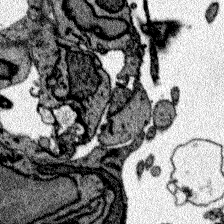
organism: Zebrafish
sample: Larval olfactory bulb